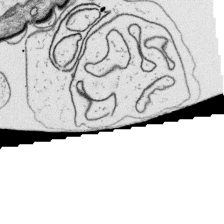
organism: Platynereis dumerilii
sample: Parapodia